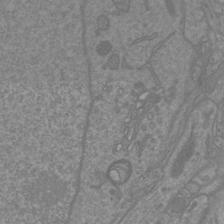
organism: Mouse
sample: Cortical neurons